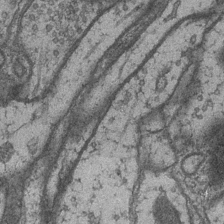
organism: Drosophila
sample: Optic medulla